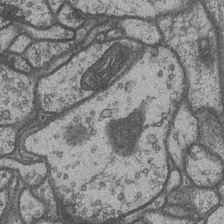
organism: Drosophila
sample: Optic medulla